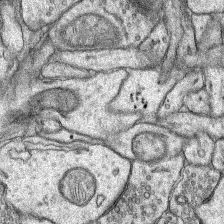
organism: Rat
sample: Hippocampus